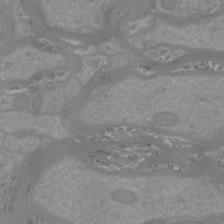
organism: Mouse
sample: Cortical neurons